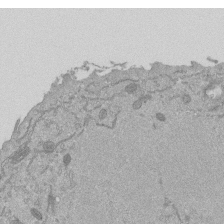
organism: Mouse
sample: ED-1 cell nuclei; centrioles